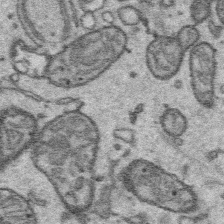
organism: Platynereis dumerilii